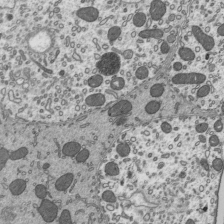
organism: Mouse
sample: Mouse epididymis efferent ductule cilia